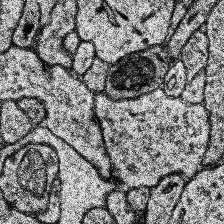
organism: Human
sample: Temporal Lobe